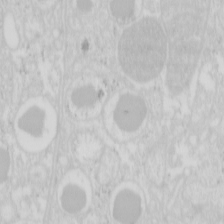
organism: Mouse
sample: Pancreas